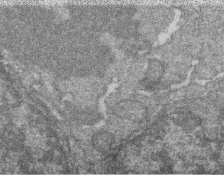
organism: Zebrafish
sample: Cilia; retinal pigment epithelium